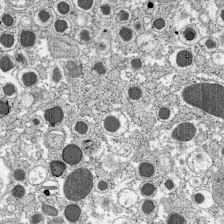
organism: C57BL Mouse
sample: Pancreatic islet